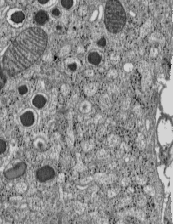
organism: C57BL Mouse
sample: Pancreatic islet